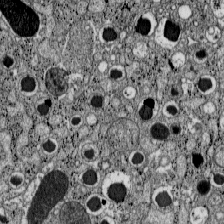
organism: C57BL Mouse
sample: Pancreatic islet